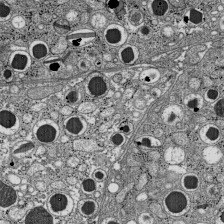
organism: C57BL Mouse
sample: Pancreatic islet